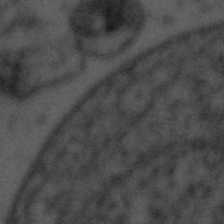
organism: Tuwongella immobilis